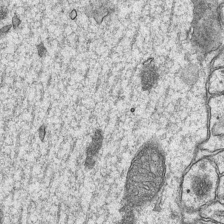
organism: Mouse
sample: CA1 Hippocampus